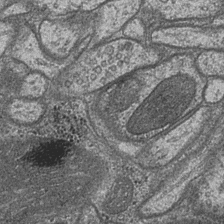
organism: Drosophila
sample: Optic medulla